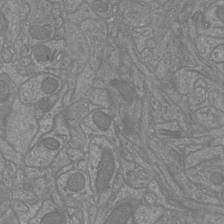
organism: Mouse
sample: Cortical neurons